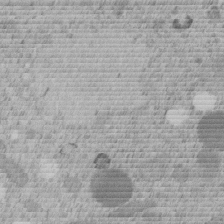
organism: C. elegans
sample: C. elegans embryo early stage